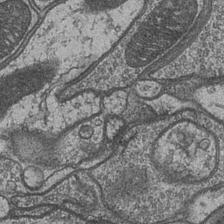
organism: Drosophila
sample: Optic medulla